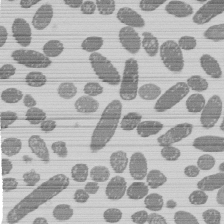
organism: E. coli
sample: Bacterial nucleoid